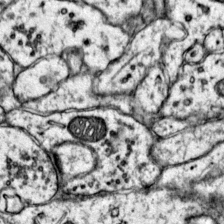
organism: Mouse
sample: Primary visual cortex